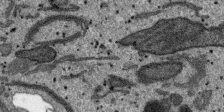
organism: Human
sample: Lung epithelial cells, uninfected (mock) control